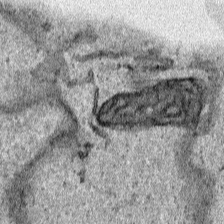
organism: Human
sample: Mitochondria in HCT116 cells